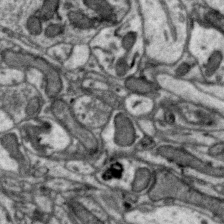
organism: Zebra finch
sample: Brain